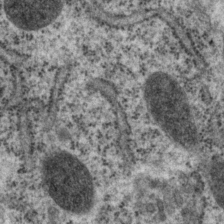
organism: P. pacificus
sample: Pharynx